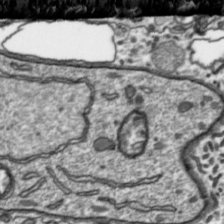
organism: Toxoplasma gondii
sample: Parasites in a vacuole inside a host cell